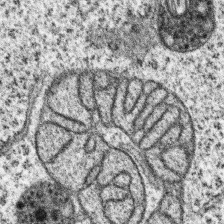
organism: Human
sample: HeLa cells